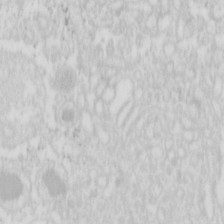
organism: Mouse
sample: Pancreas